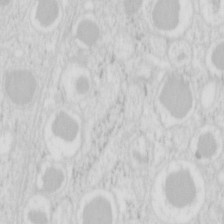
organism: Mouse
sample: Pancreas